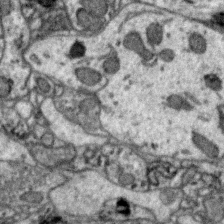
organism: Zebra finch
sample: Brain